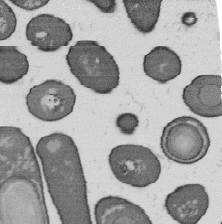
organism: B. subtilis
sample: Bacterial spore